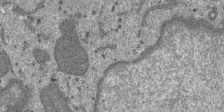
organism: Human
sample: Lung epithelial cells infected with SARS-CoV-2